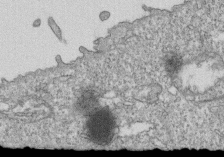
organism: Human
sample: HeLa cell HIV synapse